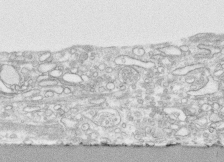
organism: Human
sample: CRL-1474